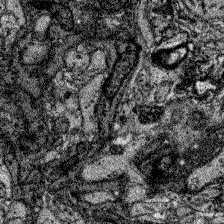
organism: Zebrafish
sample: Larval olfactory bulb